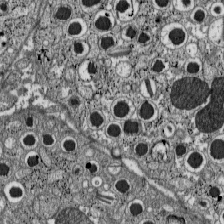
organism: C57BL Mouse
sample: Pancreatic islet